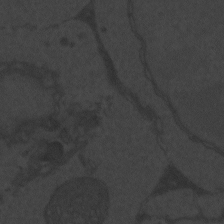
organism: Zebrafish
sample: Macrophage infected with Toxoplasma gondii